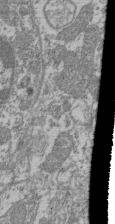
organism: Mouse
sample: Glomerulus